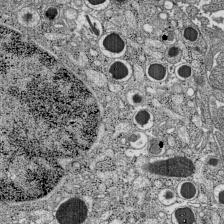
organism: C57BL Mouse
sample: Pancreatic islet